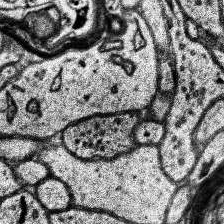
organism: Human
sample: Temporal Lobe